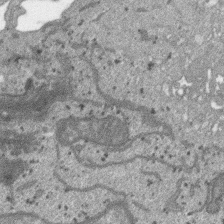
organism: Human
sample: Lung epithelial cells infected with SARS-CoV-2